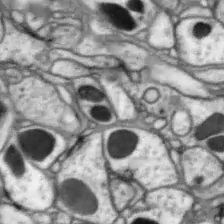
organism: Drosophila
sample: Optic lobe